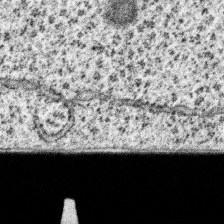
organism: Human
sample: HeLa cells